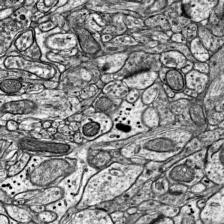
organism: Mouse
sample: Visual Cortex